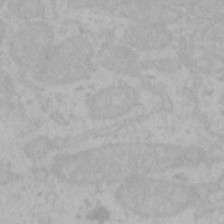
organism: Mouse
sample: Choroid plexus